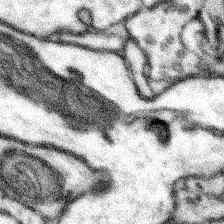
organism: Mouse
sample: Somatosensory cortex neuropil